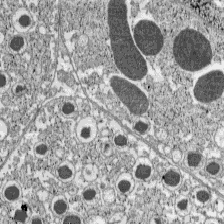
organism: C57BL Mouse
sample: Pancreatic islet